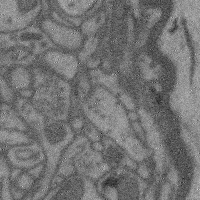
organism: Mouse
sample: Cerebral cortex